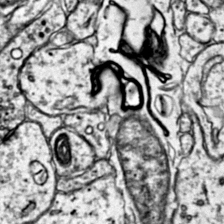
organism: Mouse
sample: Primary visual cortex